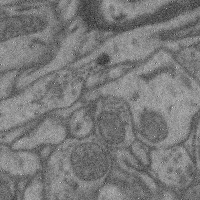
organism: Mouse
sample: Cerebral cortex